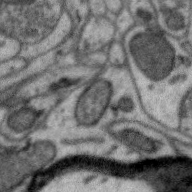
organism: Zebra finch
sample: Brain